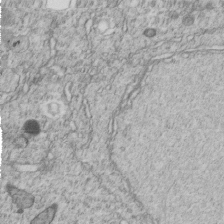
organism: C. elegans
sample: C. elegans embryo early stage